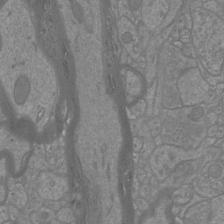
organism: Mouse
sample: Cortical neurons